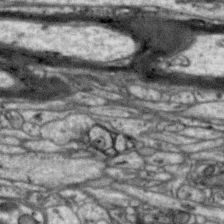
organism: Zebra finch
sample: Brain